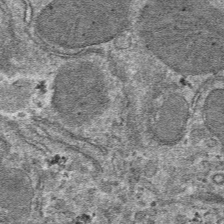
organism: Mouse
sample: Mouse hepatocytes